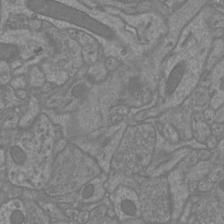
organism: Mouse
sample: Cortical neurons